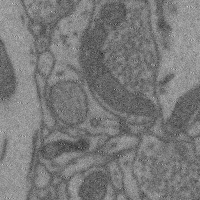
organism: Mouse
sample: Cerebral cortex